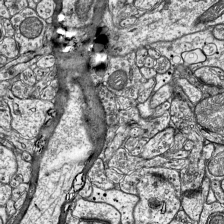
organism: Mouse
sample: Visual Cortex